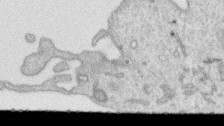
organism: Human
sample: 1205lu cells